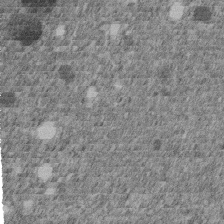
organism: C. elegans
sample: C. elegans embryo early stage